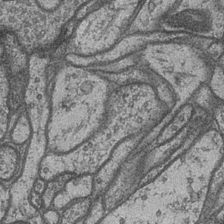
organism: Drosophila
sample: Optic medulla